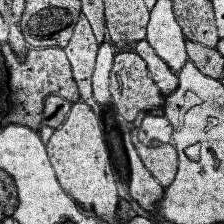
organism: Human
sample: Temporal Lobe